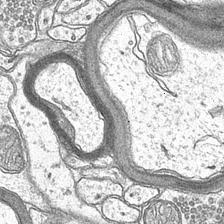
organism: Mouse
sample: CA1 Hippocampus